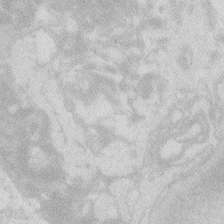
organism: Zebrafish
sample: Macrophage